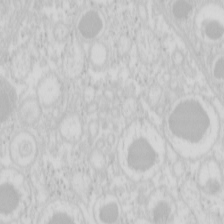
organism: Mouse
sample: Pancreas